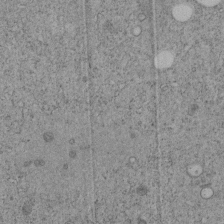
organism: C. elegans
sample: C. elegans embryo early stage